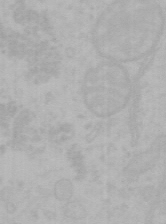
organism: Mouse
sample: Choroid plexus